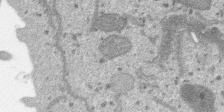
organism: Human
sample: Lung epithelial cells infected with SARS-CoV-2